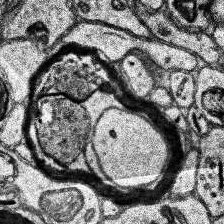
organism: Human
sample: Temporal Lobe